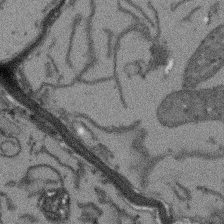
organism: Arabidopsis thaliana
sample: Root tip